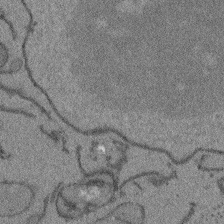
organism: Arabidopsis thaliana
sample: Root tip